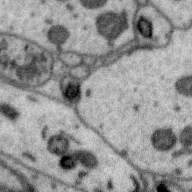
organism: Zebra finch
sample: Brain